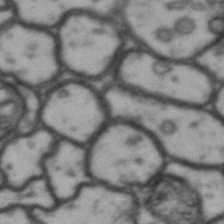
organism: Drosophila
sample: Brain